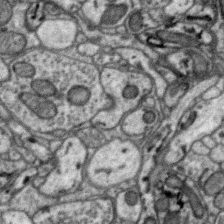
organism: Zebra finch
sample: Brain